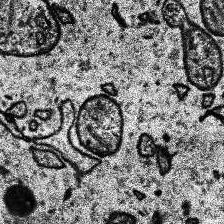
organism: Human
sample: Temporal Lobe